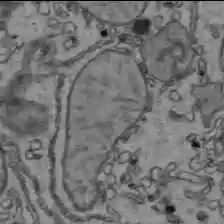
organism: C57BL Mouse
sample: Liver